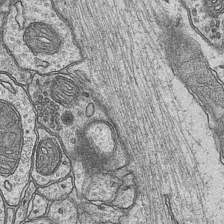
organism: Mouse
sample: CA1 Hippocampus